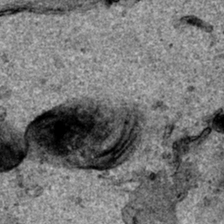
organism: Human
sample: Mitochondria in HCT116 cells